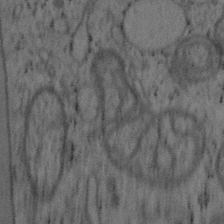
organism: Human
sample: HeLa cells